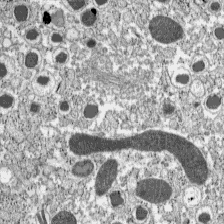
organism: C57BL Mouse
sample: Pancreatic islet